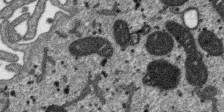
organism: Human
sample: Lung epithelial cells infected with SARS-CoV-2